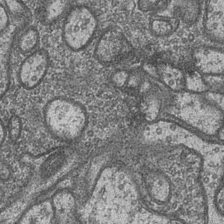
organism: Drosophila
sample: Optic medulla